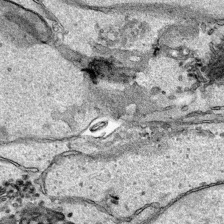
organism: Human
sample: Mitochondria in HCT116 cells